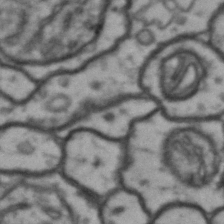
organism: Drosophila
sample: Brain